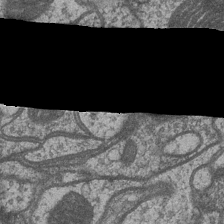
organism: Drosophila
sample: Optic medulla